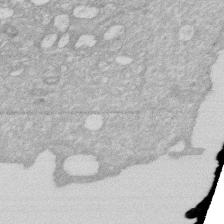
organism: Human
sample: HIV infected U937 cells